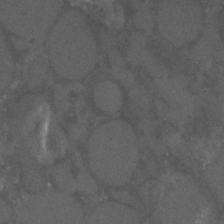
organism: C. elegans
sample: C. elegans embryo